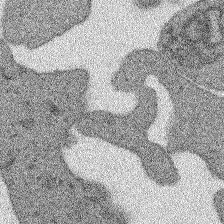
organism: Human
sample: HeLa cells